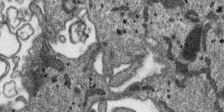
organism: Human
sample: Lung epithelial cells infected with SARS-CoV-2